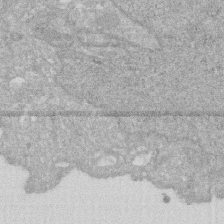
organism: Human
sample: HIV infected U937 cells